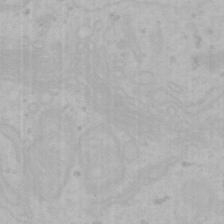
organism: Mouse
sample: Choroid plexus